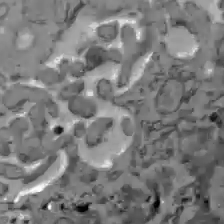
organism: C57BL Mouse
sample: Liver